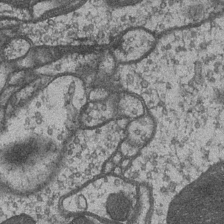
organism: Drosophila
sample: Optic medulla